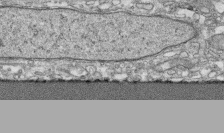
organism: Human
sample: CRL-1474